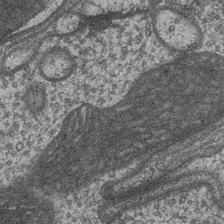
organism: Drosophila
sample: Optic medulla